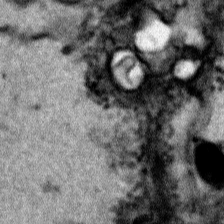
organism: Human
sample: Mitochondria in HCT116 cells